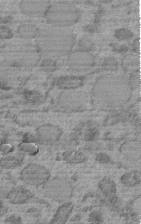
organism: C. elegans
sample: C. elegans embryo early stage